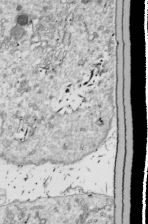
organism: Drosophila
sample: Cell division; meiosis; drosophila spermatocytes